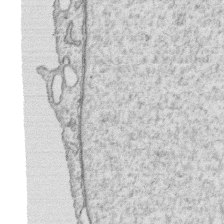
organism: Human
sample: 1205lu cells